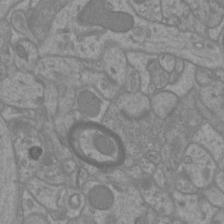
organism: Mouse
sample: Cortical neurons